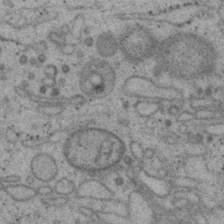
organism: Human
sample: HeLa cells